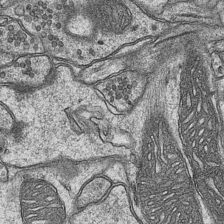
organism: Mouse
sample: CA1 Hippocampus